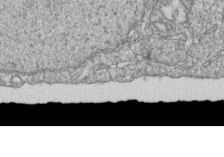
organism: Human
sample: HeLa cell HIV synapse